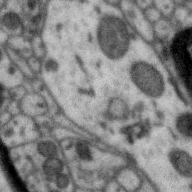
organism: Zebra finch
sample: Brain